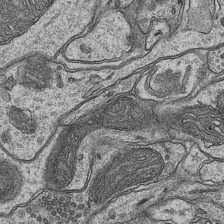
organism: Mouse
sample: CA1 Hippocampus